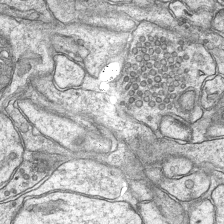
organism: Mouse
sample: CA1 Hippocampus